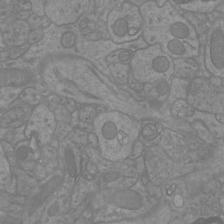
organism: Mouse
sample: Cortical neurons